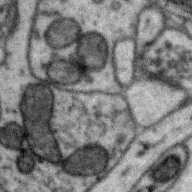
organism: Zebra finch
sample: Brain